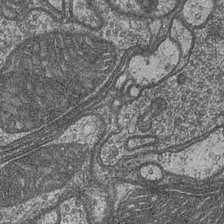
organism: Drosophila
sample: Optic medulla